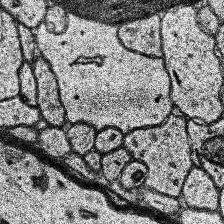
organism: Human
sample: Temporal Lobe